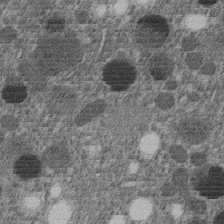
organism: C. elegans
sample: C. elegans embryo early stage